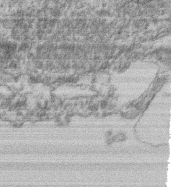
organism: Mouse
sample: T cell stromal cell synapse